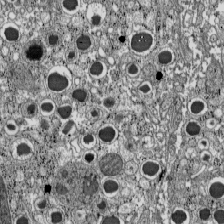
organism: C57BL Mouse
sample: Pancreatic islet